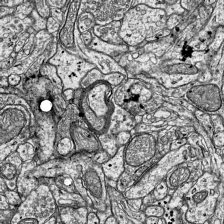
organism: Mouse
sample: Visual Cortex